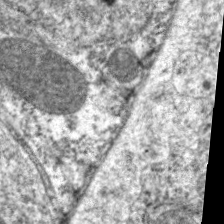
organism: C. elegans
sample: Pharynx